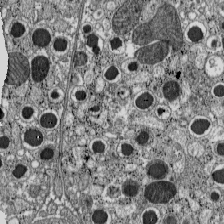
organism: C57BL Mouse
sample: Pancreatic islet